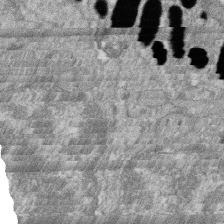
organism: Zebrafish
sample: Cilia; retinal pigment epithelium